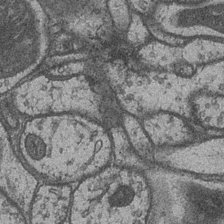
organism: Drosophila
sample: Optic medulla